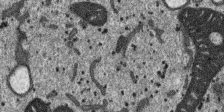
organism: Human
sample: Lung epithelial cells infected with SARS-CoV-2